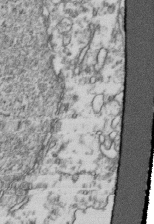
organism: Human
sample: Activated Jurkat CD4+ T cells